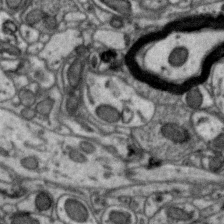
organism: Zebra finch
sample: Brain